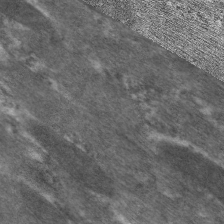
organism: C. elegans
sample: Pharynx